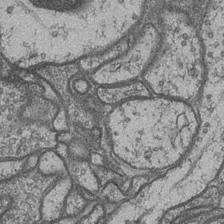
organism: Drosophila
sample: Optic medulla